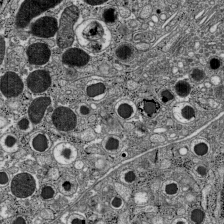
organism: C57BL Mouse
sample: Pancreatic islet